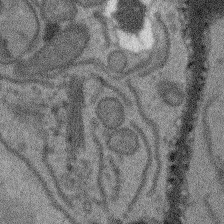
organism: Arabidopsis thaliana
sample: Root tip